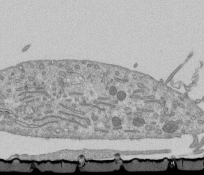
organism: Mouse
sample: ED-1 cell nuclei; centrioles